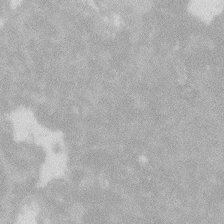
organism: Zebrafish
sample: Macrophage